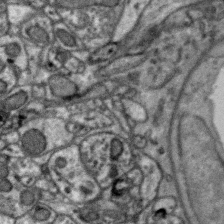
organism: Zebra finch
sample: Brain